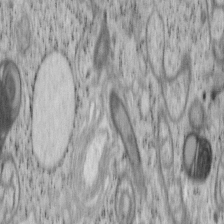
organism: Human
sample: HeLa cells